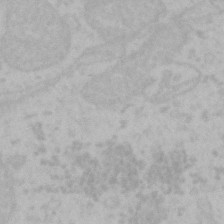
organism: Mouse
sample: Choroid plexus